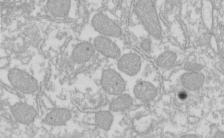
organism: Xenopus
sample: Cilia; centrioles in frog embryo cells